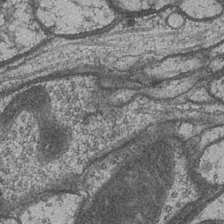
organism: Drosophila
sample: Optic medulla